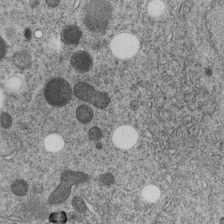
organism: C. elegans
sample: C. elegans embryo early stage